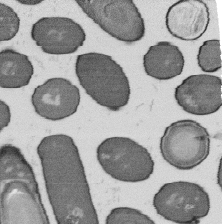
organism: B. subtilis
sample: Bacterial spore